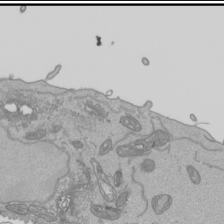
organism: Human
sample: Mitochondria in HCT116 cells